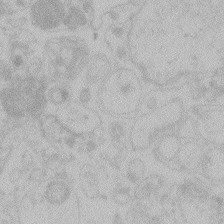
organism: Zebrafish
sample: Macrophage infected with Toxoplasma gondii